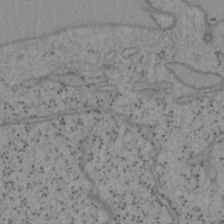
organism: Human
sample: HeLa cells